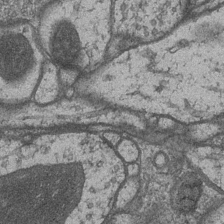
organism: Drosophila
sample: Optic medulla